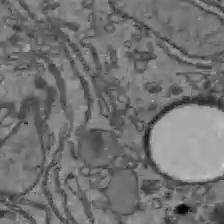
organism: C57BL Mouse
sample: Liver